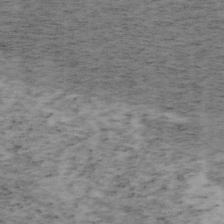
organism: Mouse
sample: OT-I killer T cells with ID8 ovarian cancer cells